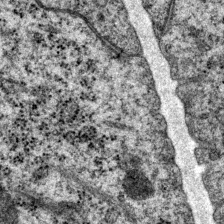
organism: P. pacificus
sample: Pharynx